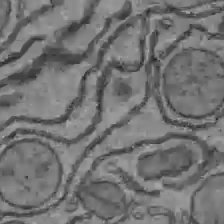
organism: C57BL Mouse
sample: Liver